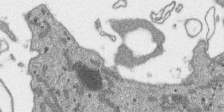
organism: Human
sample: Lung epithelial cells infected with SARS-CoV-2